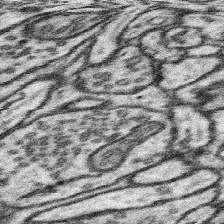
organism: Mouse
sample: Somatosensory cortex neuropil